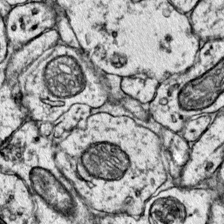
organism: Mouse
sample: Primary visual cortex